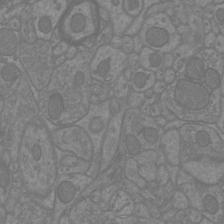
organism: Mouse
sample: Cortical neurons